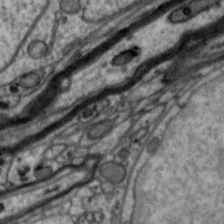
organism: Zebra finch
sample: Brain